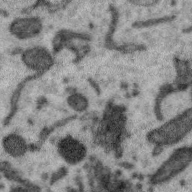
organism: Zebra finch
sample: Brain